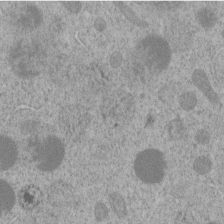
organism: C. elegans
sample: C. elegans embryo early stage